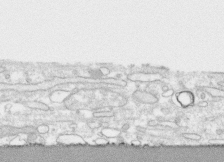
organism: Human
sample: CRL-1474